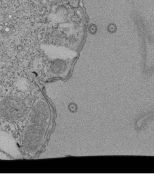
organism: Tetrahymena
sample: Cilia in tetrahymena